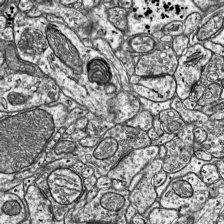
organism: Mouse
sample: Visual Cortex